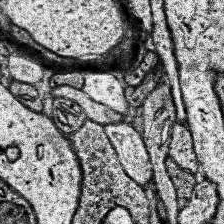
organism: Human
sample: Temporal Lobe